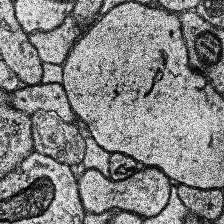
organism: Human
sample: Temporal Lobe